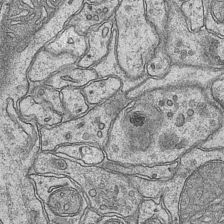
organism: Mouse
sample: CA1 Hippocampus